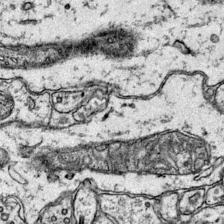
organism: Mouse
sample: Primary visual cortex